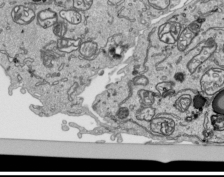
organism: Human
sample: Mitochondria in HCT116 cells